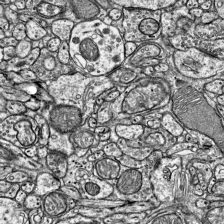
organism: Mouse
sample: Visual Cortex